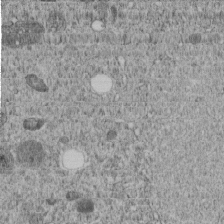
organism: C. elegans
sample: C. elegans embryo early stage